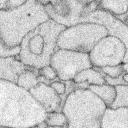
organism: Rabbit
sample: Retina